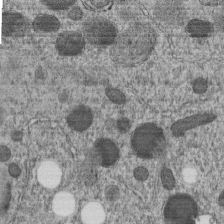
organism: C. elegans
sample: C. elegans embryo early stage